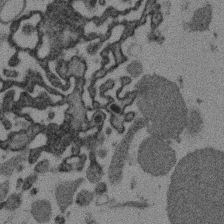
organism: Mouse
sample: Dividing mouse embryo 1 cell stage